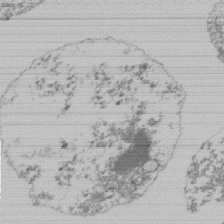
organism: Mouse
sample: Activated Pmel transgenic CD8+ T Cells